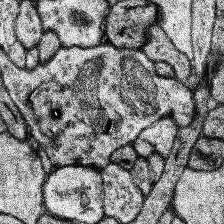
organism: Human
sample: Temporal Lobe